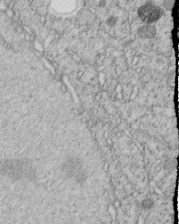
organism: C. elegans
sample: C. elegans embryo early stage